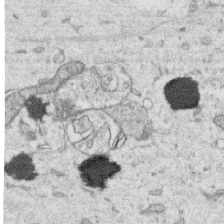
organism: Human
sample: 1205lu cells